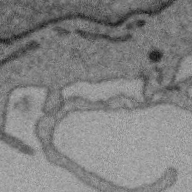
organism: Zebra finch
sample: Brain